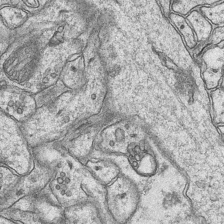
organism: Mouse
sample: CA1 Hippocampus